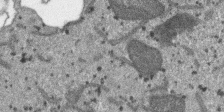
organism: Human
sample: Lung epithelial cells infected with SARS-CoV-2